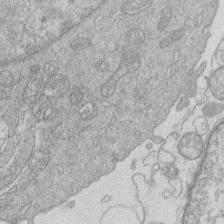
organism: Human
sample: Macrophage cells